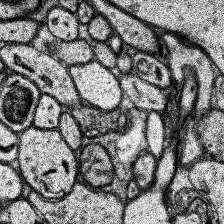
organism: Human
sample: Temporal Lobe